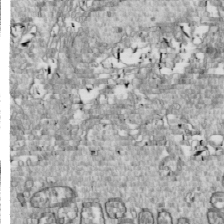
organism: Drosophila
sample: Cell division; meiosis; drosophila spermatocytes